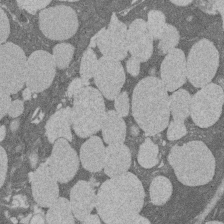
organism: Rat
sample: Salivary granule